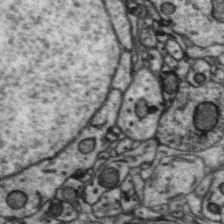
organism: Zebra finch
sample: Brain